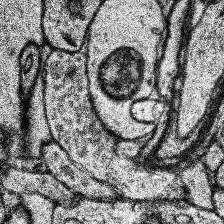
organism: Human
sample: Temporal Lobe